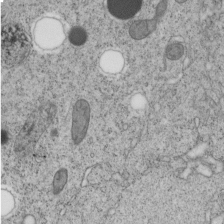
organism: C. elegans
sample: C. elegans embryo early stage